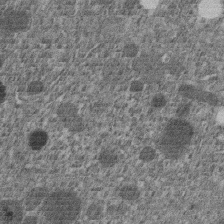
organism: C. elegans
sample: C. elegans embryo early stage